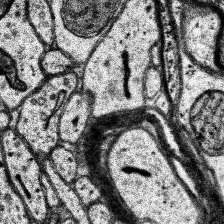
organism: Human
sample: Temporal Lobe